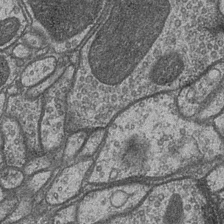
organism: Drosophila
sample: Optic medulla